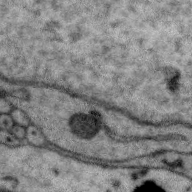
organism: Zebra finch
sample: Brain